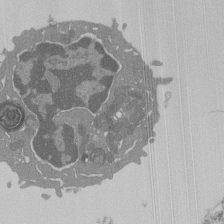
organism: Mouse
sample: Activated Pmel transgenic CD8+ T Cells